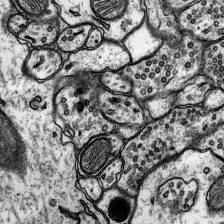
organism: Rat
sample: Hippocampus